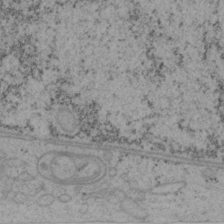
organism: Human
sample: HeLa cells